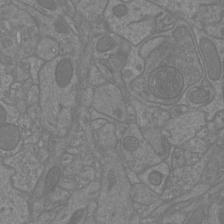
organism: Mouse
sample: Cortical neurons